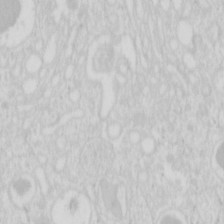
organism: Mouse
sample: Pancreas